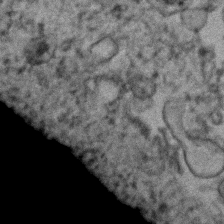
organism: Human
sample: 1205lu cells